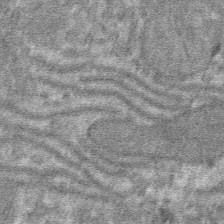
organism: Mouse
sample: Mouse hepatocytes